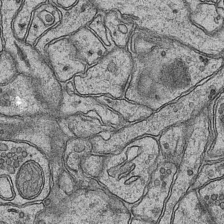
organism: Mouse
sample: CA1 Hippocampus